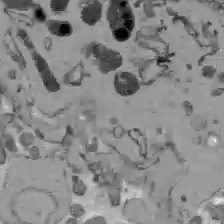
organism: C57BL Mouse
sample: Liver